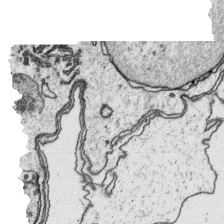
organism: Platynereis dumerilii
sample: Parapodia